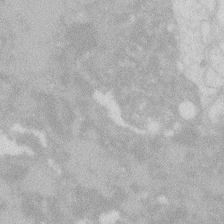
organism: Zebrafish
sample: Macrophage